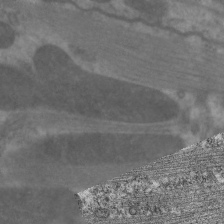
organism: C. elegans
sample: Pharynx